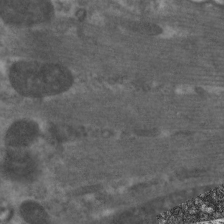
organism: C. elegans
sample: Pharynx